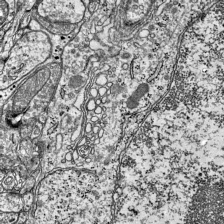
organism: Mouse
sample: Visual Cortex